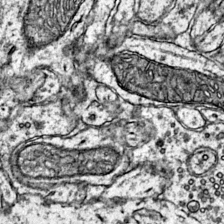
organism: Mouse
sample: Primary visual cortex